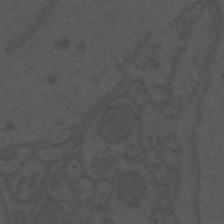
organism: Mouse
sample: Suprachiasmatic nucleus